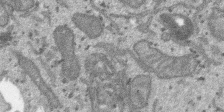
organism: Human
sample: Lung epithelial cells infected with SARS-CoV-2